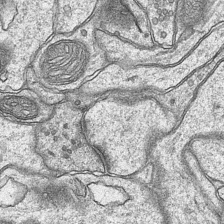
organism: Mouse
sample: CA1 Hippocampus